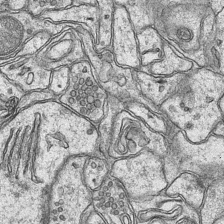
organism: Mouse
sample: CA1 Hippocampus